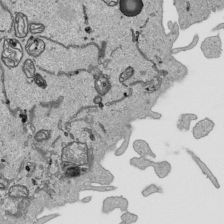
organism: Human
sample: Mitochondria in HCT116 cells